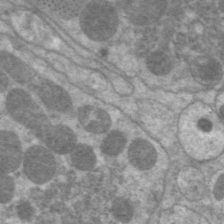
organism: C. elegans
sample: Pharynx